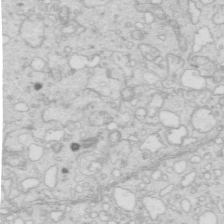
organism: Mouse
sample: Multiciliated cells